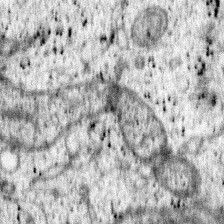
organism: Human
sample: HeLa cells